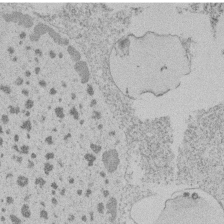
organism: Tetrahymena